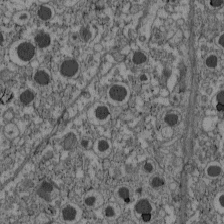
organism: C57BL Mouse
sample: Pancreatic islet